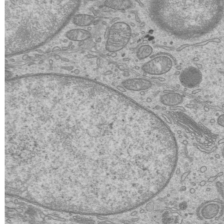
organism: Mouse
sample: Cilia; mouse epididymis